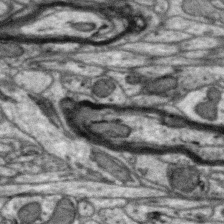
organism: Zebra finch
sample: Brain